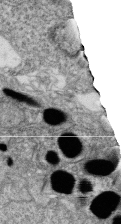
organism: Zebrafish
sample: Cilia; retinal pigment epithelium